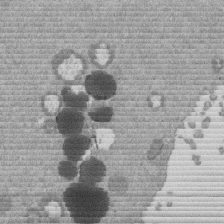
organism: Mouse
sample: Dividing mouse embryo 1 cell stage